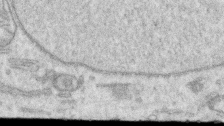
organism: Human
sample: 1205lu cells